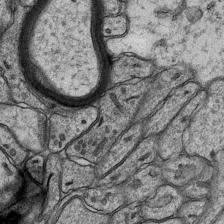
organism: Mouse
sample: CA1 Hippocampus